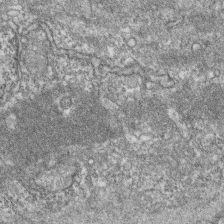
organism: Zebrafish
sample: Cilia; retinal pigment epithelium